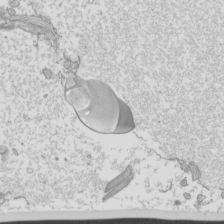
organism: Mouse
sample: Cilia; mouse epididymis